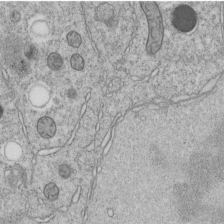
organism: C. elegans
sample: C. elegans embryo early stage